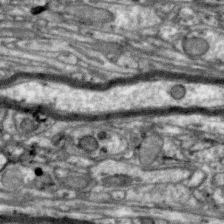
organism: Zebra finch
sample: Brain